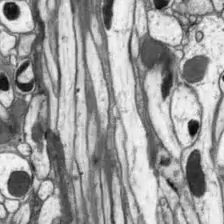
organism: Drosophila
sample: Optic lobe